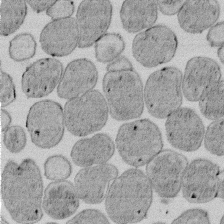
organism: E. coli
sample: Bacterial nucleoid